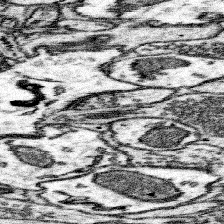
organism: Mouse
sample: Somatosensory cortex neuropil